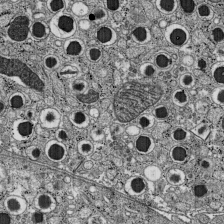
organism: C57BL Mouse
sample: Pancreatic islet